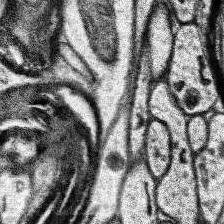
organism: Human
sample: Temporal Lobe